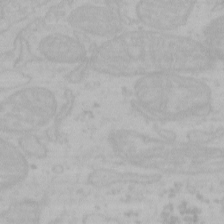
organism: Mouse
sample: Choroid plexus